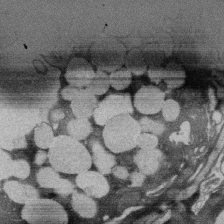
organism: Rat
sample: Salivary granule